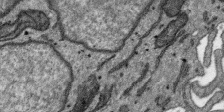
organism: Human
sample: Lung epithelial cells, uninfected (mock) control